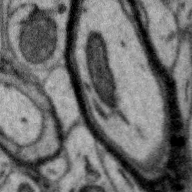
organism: Zebra finch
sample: Brain